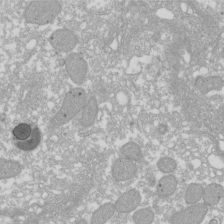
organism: Xenopus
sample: Cilia; centrioles in frog embryo cells